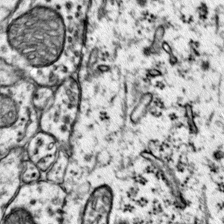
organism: Mouse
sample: Primary visual cortex